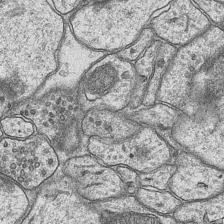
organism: Mouse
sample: CA1 Hippocampus